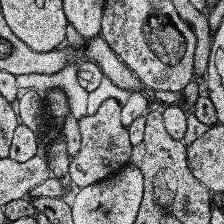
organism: Human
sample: Temporal Lobe